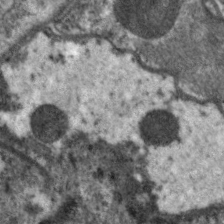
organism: C. elegans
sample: Pharynx